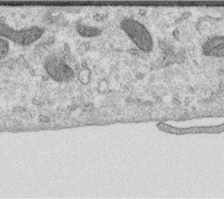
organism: Human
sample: Centriole in RPE cells